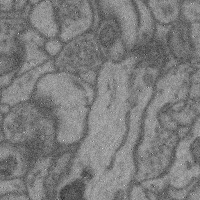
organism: Mouse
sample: Cerebral cortex